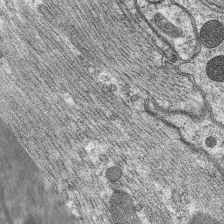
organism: C. elegans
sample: Pharynx